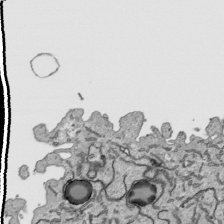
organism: Human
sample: Mitochondria in HCT116 cells